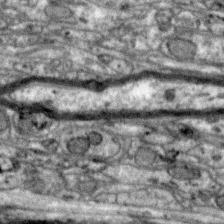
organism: Zebra finch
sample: Brain